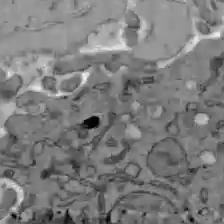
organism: C57BL Mouse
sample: Liver